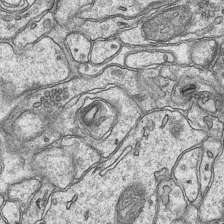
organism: Mouse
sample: CA1 Hippocampus